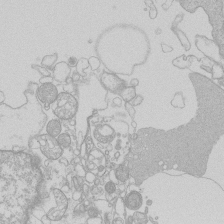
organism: Human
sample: Macrophage cells